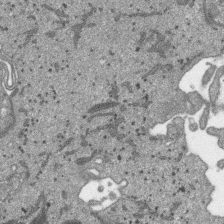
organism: Human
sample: Lung epithelial cells infected with SARS-CoV-2